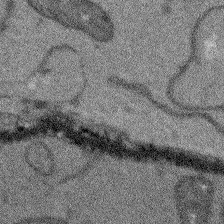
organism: Arabidopsis thaliana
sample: Root tip